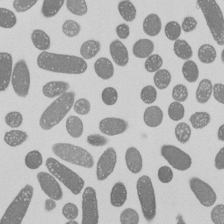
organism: E. coli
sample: Bacterial nucleoid